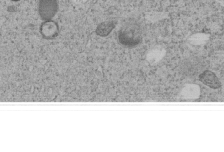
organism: C. elegans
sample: C. elegans embryo early stage